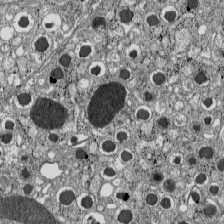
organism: C57BL Mouse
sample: Pancreatic islet